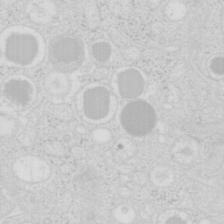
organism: Mouse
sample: Pancreas